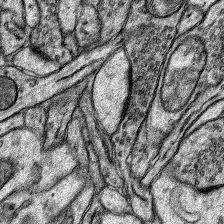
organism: Rat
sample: Hippocampus